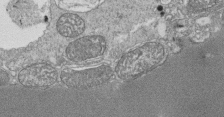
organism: Tetrahymena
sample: Cilia in tetrahymena